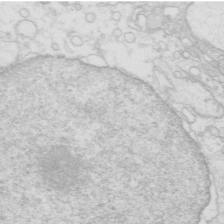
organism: Mouse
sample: Multiciliated cells